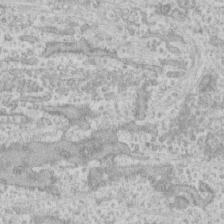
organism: Human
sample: CRL-1474